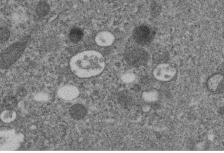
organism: C. elegans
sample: C. elegans embryo early stage